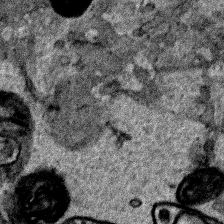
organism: Human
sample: Mitochondria in HCT116 cells